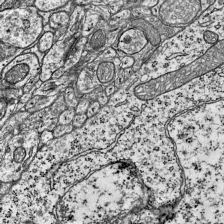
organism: Mouse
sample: Visual Cortex